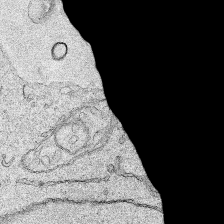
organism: Human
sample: Mitochondria in HCT116 cells